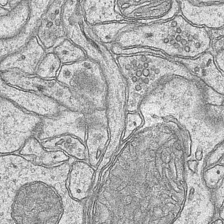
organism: Mouse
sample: CA1 Hippocampus